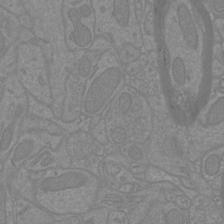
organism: Mouse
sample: Cortical neurons